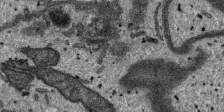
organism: Human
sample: Lung epithelial cells, uninfected (mock) control